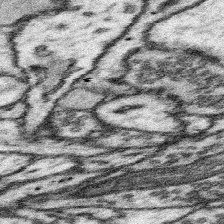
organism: Mouse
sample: Somatosensory cortex neuropil